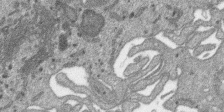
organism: Human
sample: Lung epithelial cells infected with SARS-CoV-2